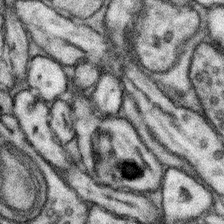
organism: Mouse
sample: Somatosensory cortex neuropil